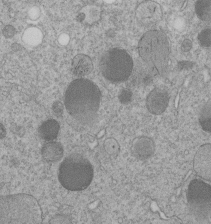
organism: C. elegans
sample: C. elegans embryo early stage